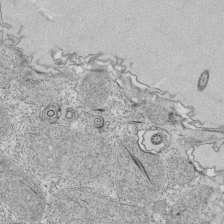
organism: Tetrahymena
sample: Cilia in tetrahymena